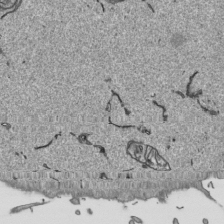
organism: Human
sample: Mitochondria in HCT116 cells